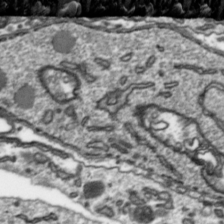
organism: Toxoplasma gondii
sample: Parasites in a vacuole inside a host cell